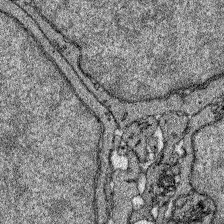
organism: Zebrafish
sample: Larval olfactory bulb